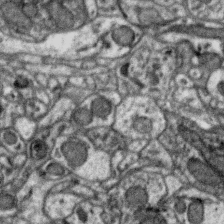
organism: Zebra finch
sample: Brain